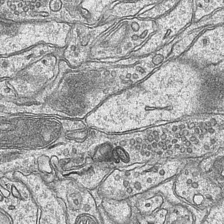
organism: Mouse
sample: CA1 Hippocampus